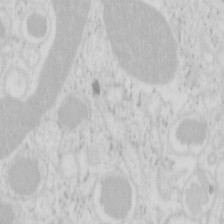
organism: Mouse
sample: Pancreas